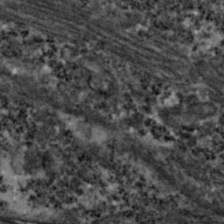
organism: Zebrafish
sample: Zebrafish embryo